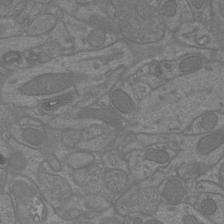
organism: Mouse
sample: Cortical neurons